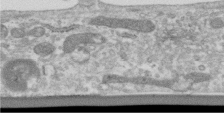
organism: Human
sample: Centriole in RPE cells